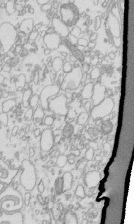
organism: Mouse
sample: Macrophages